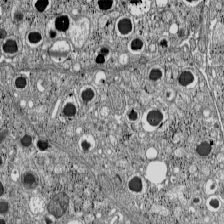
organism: C57BL Mouse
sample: Pancreatic islet